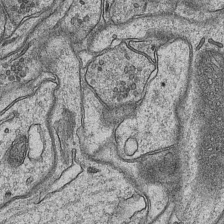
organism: Mouse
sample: CA1 Hippocampus